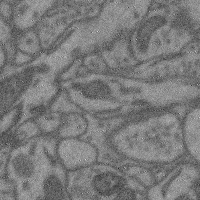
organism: Mouse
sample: Cerebral cortex